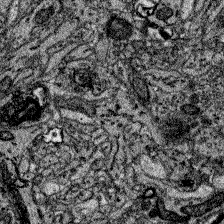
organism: Zebrafish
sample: Larval olfactory bulb